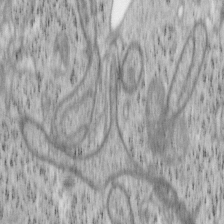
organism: Human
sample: HeLa cells